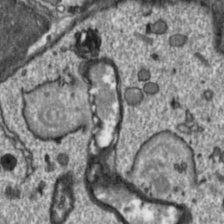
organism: Toxoplasma gondii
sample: Parasites in a vacuole inside a host cell